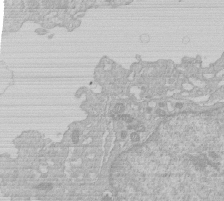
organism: Human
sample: Macrophage cells